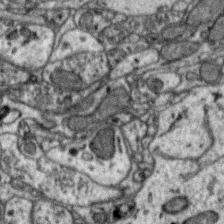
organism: Zebra finch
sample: Brain